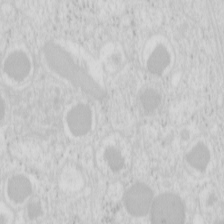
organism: Mouse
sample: Pancreas